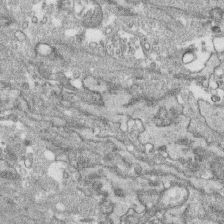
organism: Human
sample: CRL-1474